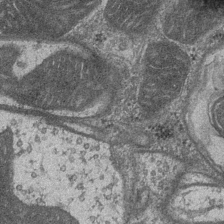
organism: Drosophila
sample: Optic medulla